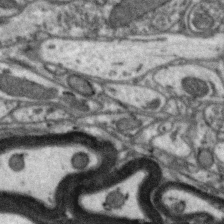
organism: Zebra finch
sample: Brain